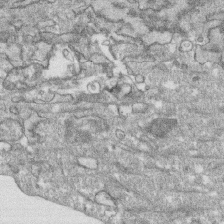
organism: Human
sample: CRL-1474